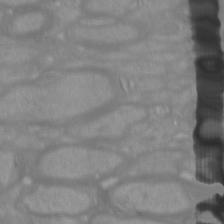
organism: Mouse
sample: Cortical neurons